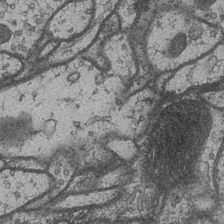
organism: Drosophila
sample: Optic medulla